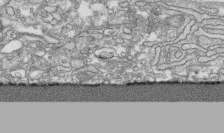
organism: Human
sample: CRL-1474